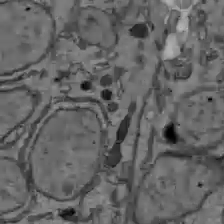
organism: C57BL Mouse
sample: Liver